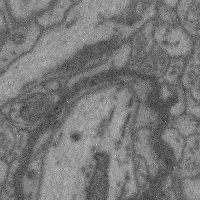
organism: Mouse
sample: Cerebral cortex